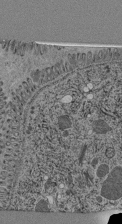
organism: C. elegans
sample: C. elegans pharynx